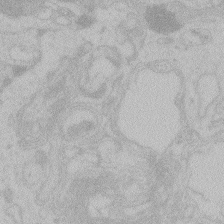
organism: Zebrafish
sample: Macrophage infected with Toxoplasma gondii